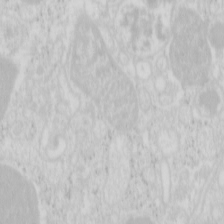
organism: Mouse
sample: Pancreas